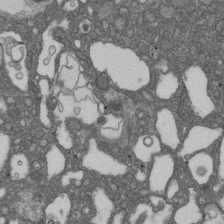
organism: Drosophila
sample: Nephrocyte